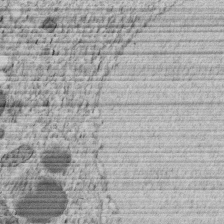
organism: C. elegans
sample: C. elegans embryo early stage